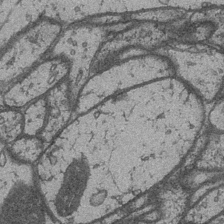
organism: Drosophila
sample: Optic medulla